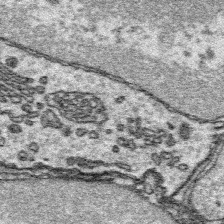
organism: Platynereis dumerilii